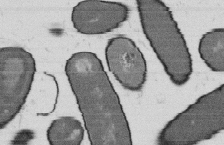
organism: B. subtilis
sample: Bacterial spore